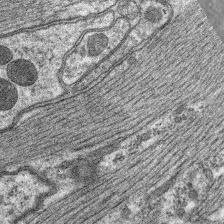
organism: C. elegans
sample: Pharynx